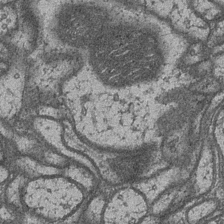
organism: Drosophila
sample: Optic medulla